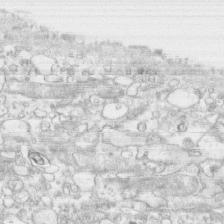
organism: Human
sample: CRL-1474